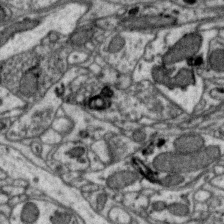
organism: Zebra finch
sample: Brain